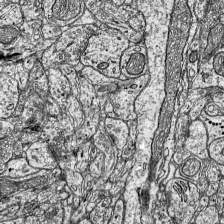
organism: Mouse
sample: Visual Cortex